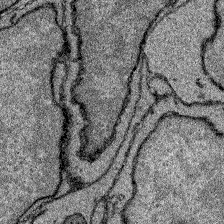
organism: Zebrafish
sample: Larval olfactory bulb